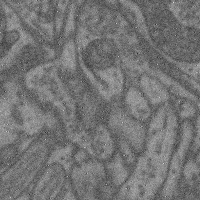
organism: Mouse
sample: Cerebral cortex